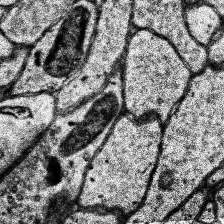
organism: Human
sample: Temporal Lobe